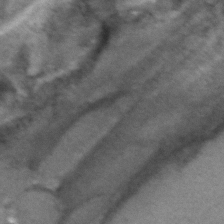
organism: C. elegans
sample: C. elegans embryo